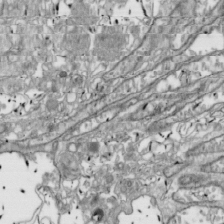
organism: Drosophila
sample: Cell division; meiosis; drosophila spermatocytes